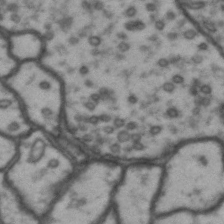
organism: Drosophila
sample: Brain